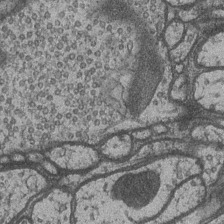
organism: Drosophila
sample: Optic medulla